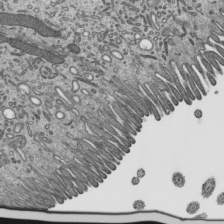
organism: Mouse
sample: Mouse epididymis efferent ductule cilia